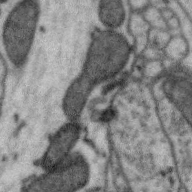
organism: Zebra finch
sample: Brain